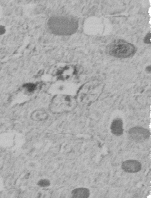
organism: C. elegans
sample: C. elegans embryo early stage